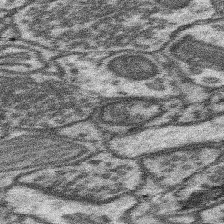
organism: Mouse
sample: Somatosensory cortex neuropil